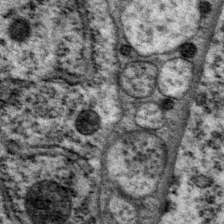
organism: P. pacificus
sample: Pharynx